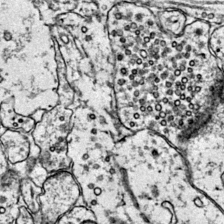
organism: Mouse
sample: Primary visual cortex